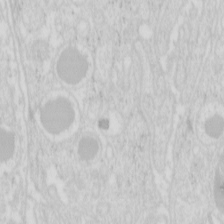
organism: Mouse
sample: Pancreas